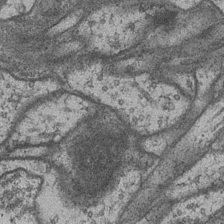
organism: Drosophila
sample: Optic medulla